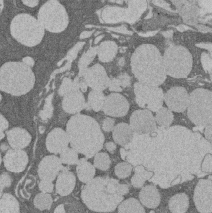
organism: Rat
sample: Salivary granule